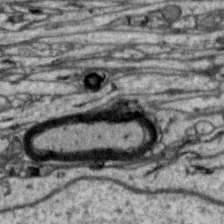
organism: Zebra finch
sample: Brain